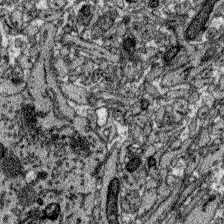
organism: Zebrafish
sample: Larval olfactory bulb